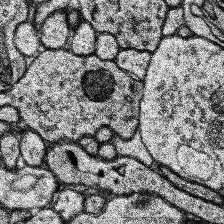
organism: Human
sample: Temporal Lobe